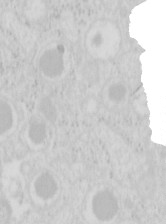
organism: Mouse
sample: Pancreas